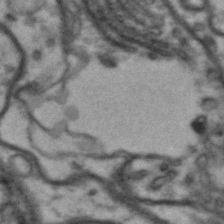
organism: Drosophila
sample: Brain